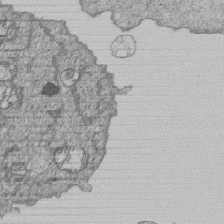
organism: Human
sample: MDA-MB-231 cells